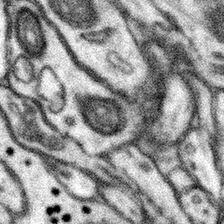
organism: Mouse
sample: Somatosensory cortex neuropil